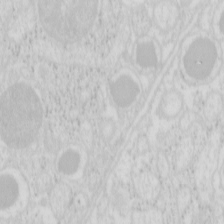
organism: Mouse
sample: Pancreas